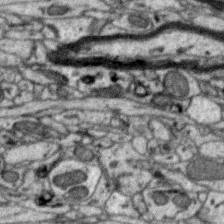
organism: Zebra finch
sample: Brain